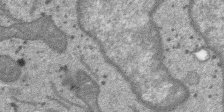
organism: Human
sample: Lung epithelial cells infected with SARS-CoV-2